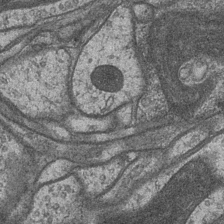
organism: Drosophila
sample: Optic medulla